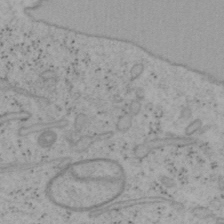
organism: Human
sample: HeLa cells